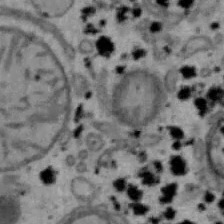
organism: Mouse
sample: Liver